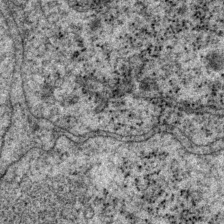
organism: P. pacificus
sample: Pharynx